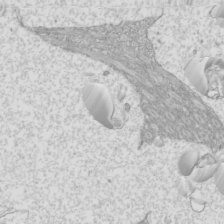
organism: Mouse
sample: Cilia; mouse epididymis